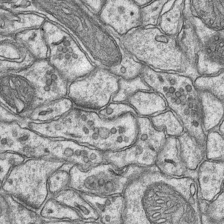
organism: Mouse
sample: CA1 Hippocampus